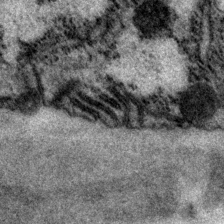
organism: P. pacificus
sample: Pharynx